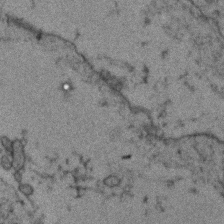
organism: Zebrafish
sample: Zebrafish embryo